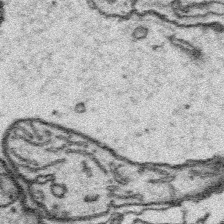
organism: Platynereis dumerilii